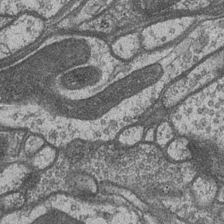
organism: Drosophila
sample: Optic medulla